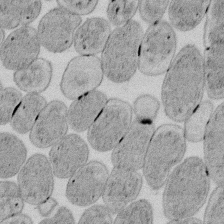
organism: E. coli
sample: Bacterial nucleoid